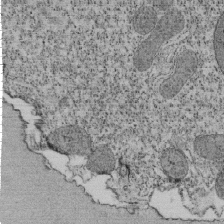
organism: Tetrahymena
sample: Cilia in tetrahymena